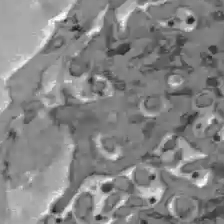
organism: C57BL Mouse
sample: Liver